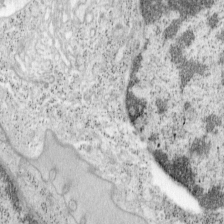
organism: Mouse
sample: OT-I killer T cells with ID8 ovarian cancer cells